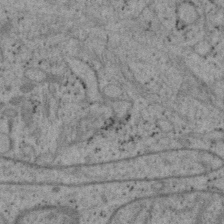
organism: Human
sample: HeLa cells